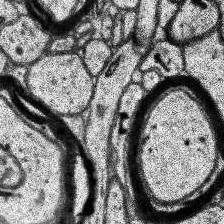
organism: Human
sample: Temporal Lobe